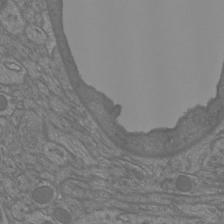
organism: Mouse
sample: Cortical neurons